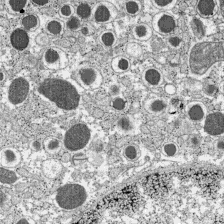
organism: C57BL Mouse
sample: Pancreatic islet